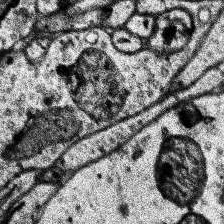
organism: Human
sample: Temporal Lobe